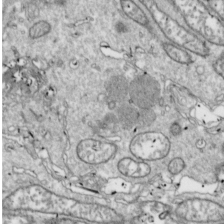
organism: Drosophila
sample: Cell division; meiosis; drosophila spermatocytes